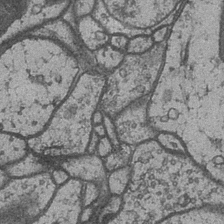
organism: Drosophila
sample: Optic medulla